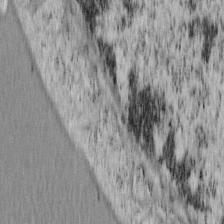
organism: Human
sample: HeLa cells